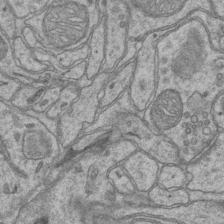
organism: Mouse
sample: CA1 Hippocampus